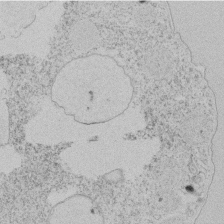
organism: Tetrahymena